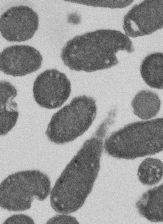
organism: E. coli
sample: Bacterial nucleoid